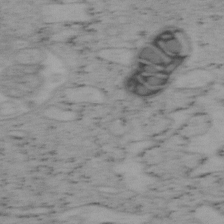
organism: Mouse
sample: OT-I killer T cells with ID8 ovarian cancer cells